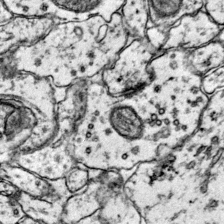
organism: Mouse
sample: Primary visual cortex